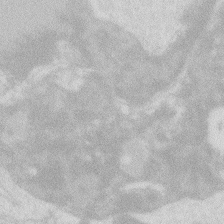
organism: Zebrafish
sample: Macrophage